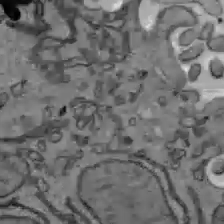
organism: C57BL Mouse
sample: Liver